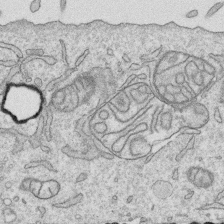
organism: Human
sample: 1205lu cells